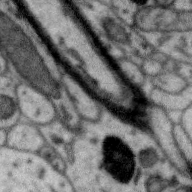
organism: Zebra finch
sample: Brain